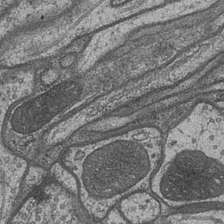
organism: Drosophila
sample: Optic medulla